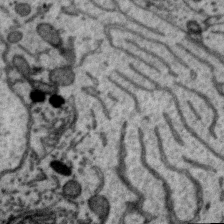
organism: Zebra finch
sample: Brain